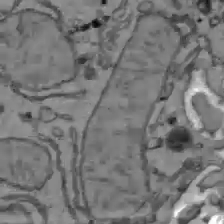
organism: C57BL Mouse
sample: Liver